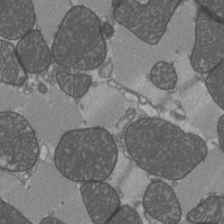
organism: C57BL Mouse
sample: Heart